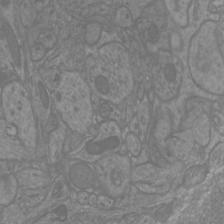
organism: Mouse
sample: Cortical neurons